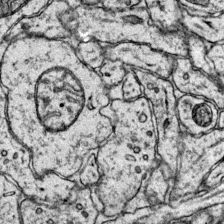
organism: Mouse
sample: Primary visual cortex